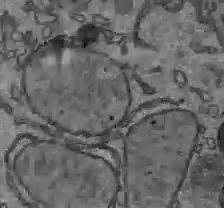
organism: C57BL Mouse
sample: Liver